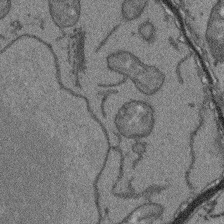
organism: Arabidopsis thaliana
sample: Root tip